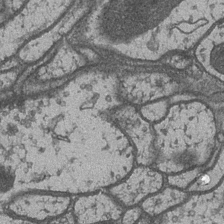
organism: Drosophila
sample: Optic medulla